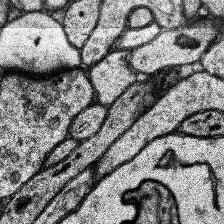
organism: Human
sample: Temporal Lobe